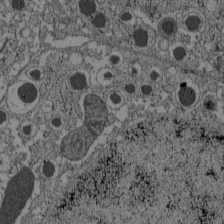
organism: C57BL Mouse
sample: Pancreatic islet